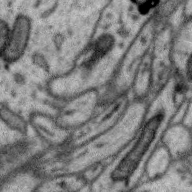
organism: Zebra finch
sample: Brain